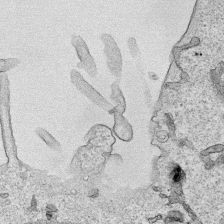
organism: Human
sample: Mitochondria in HCT116 cells